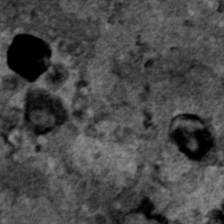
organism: Human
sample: Mitochondria in HCT116 cells